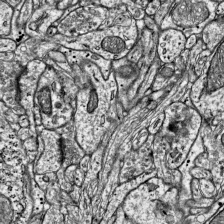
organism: Mouse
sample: Visual Cortex